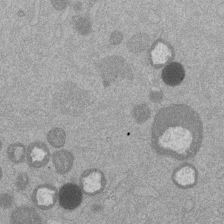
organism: Mouse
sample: Dividing mouse embryo 1 cell stage